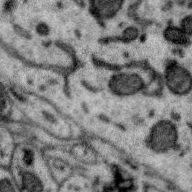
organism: Zebra finch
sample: Brain